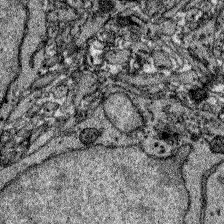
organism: Zebrafish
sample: Larval olfactory bulb